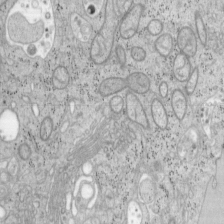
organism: Mouse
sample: OT-I killer T cells with ID8 ovarian cancer cells